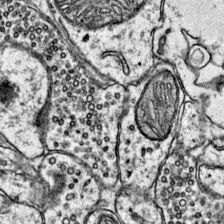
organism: Mouse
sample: Primary visual cortex